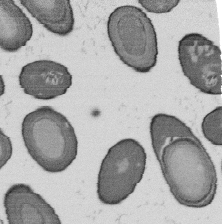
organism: B. subtilis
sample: Bacterial spore